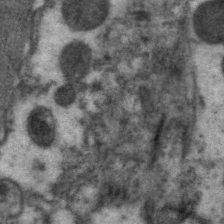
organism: C. elegans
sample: Pharynx